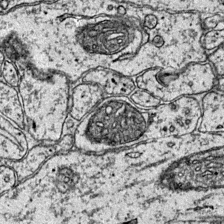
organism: Mouse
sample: Primary visual cortex